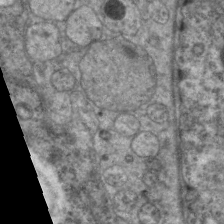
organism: C. elegans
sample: Pharynx